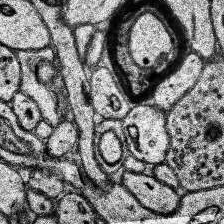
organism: Human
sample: Temporal Lobe